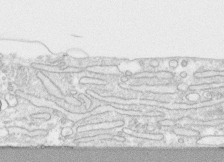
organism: Human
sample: CRL-1474